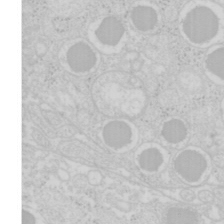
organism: Mouse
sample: Pancreas